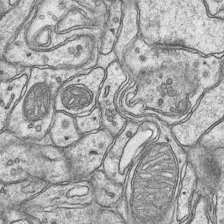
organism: Mouse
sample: CA1 Hippocampus